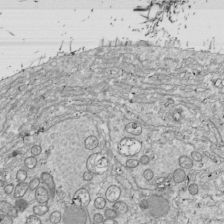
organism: Drosophila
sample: Cell division; meiosis; drosophila spermatocytes